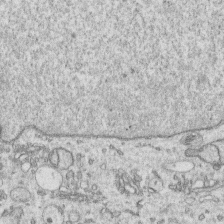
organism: Human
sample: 1205lu cells